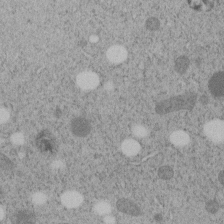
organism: C. elegans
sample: C. elegans embryo early stage